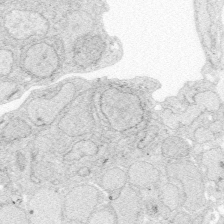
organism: Zebrafish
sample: Whole-Brain